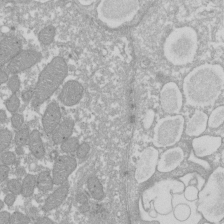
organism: Xenopus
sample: Cilia; centrioles in frog embryo cells